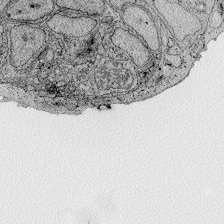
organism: Zebrafish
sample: Whole-Brain